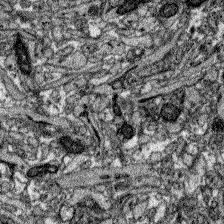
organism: Zebrafish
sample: Larval olfactory bulb